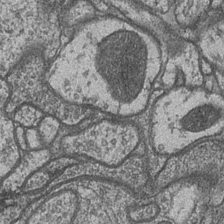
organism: Drosophila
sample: Optic medulla